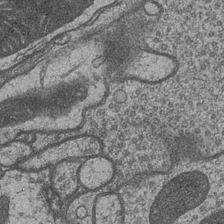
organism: Drosophila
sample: Optic medulla